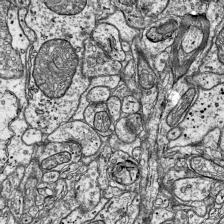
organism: Mouse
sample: Visual Cortex